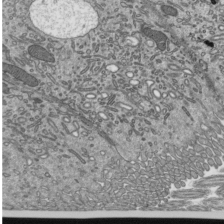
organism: Mouse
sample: Mouse epididymis efferent ductule cilia